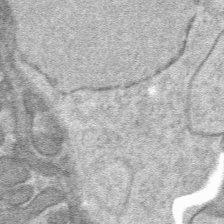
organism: Mouse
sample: Mouse hepatocytes